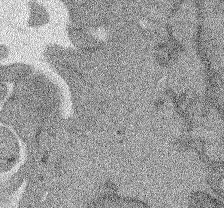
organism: Human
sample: HeLa cells